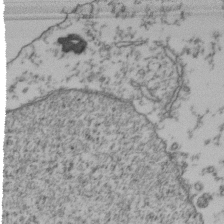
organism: Human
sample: Activated Jurkat CD4+ T cells